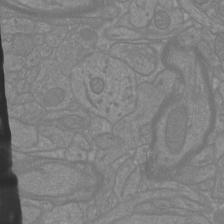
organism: Mouse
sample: Cortical neurons